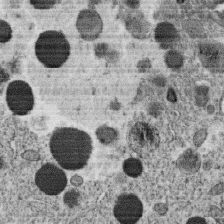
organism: C. elegans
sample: C. elegans oocyte; sperm cells